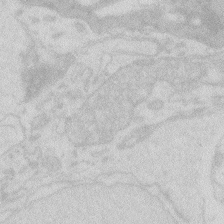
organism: Zebrafish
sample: Macrophage